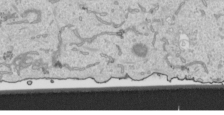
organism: Human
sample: Mitochondria in HCT116 cells